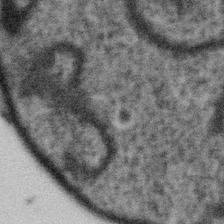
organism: Gemmata obscuriglobus